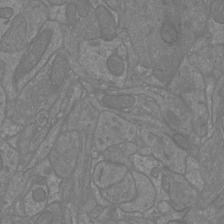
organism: Mouse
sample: Cortical neurons